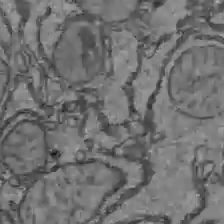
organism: C57BL Mouse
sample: Liver